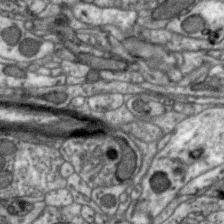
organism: Zebra finch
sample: Brain